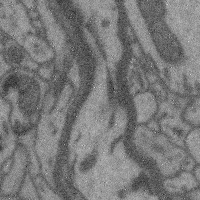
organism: Mouse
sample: Cerebral cortex